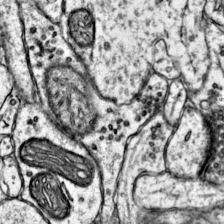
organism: Mouse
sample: Primary visual cortex